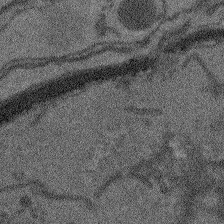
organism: Arabidopsis thaliana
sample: Root tip